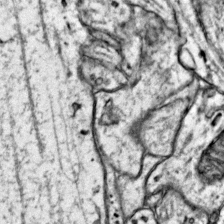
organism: Mouse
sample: Primary visual cortex